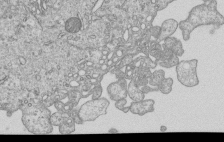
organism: Human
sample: MDA-MB-231 cells